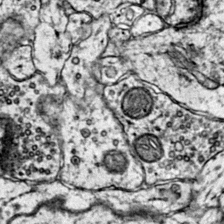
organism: Mouse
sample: Primary visual cortex